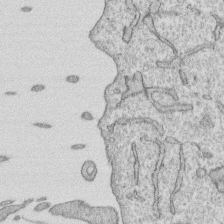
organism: Human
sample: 1205lu cells